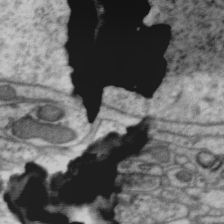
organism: Zebra finch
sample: Brain